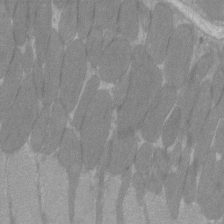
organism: C57BL Mouse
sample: Tibialis anterior muscle cell